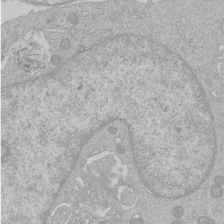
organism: Human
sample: Macrophage cells